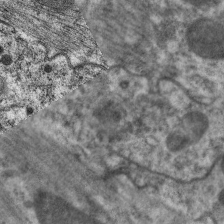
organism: C. elegans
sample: Pharynx